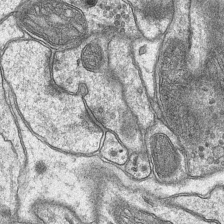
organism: Mouse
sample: CA1 Hippocampus